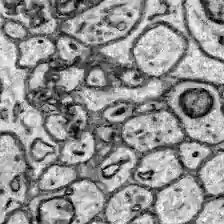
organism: Zebrafish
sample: Brain